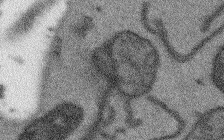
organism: Arabidopsis thaliana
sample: Root tip